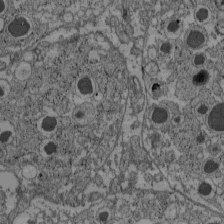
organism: C57BL Mouse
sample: Pancreatic islet